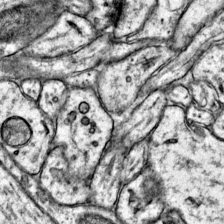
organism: Mouse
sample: Primary visual cortex